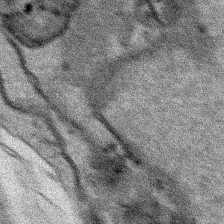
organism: Human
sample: Mitochondria in HCT116 cells